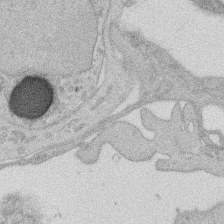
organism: Rat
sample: Salivary granule